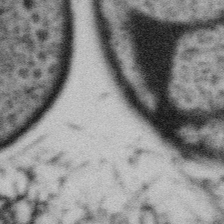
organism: Gemmata obscuriglobus